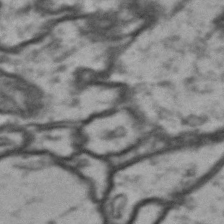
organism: Drosophila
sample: Brain